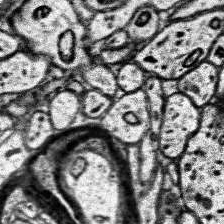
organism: Human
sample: Temporal Lobe